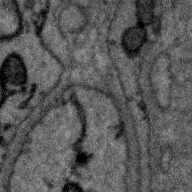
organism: Zebra finch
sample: Brain